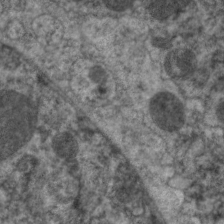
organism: C. elegans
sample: Pharynx